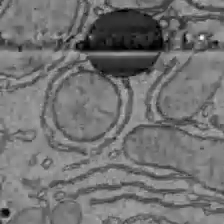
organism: C57BL Mouse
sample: Liver